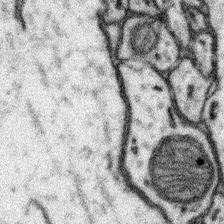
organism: Mouse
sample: Somatosensory cortex neuropil